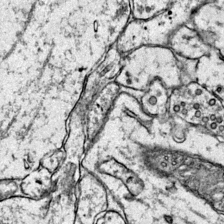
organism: Mouse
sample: Primary visual cortex